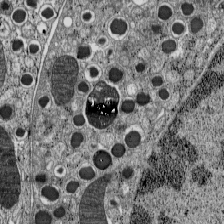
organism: C57BL Mouse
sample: Pancreatic islet